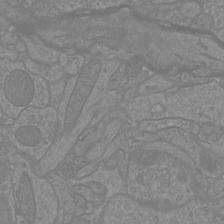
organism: Mouse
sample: Cortical neurons